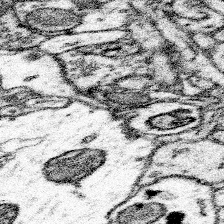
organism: Mouse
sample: Somatosensory cortex neuropil